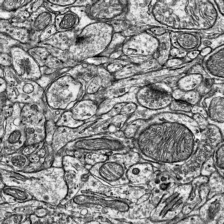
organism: Mouse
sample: Visual Cortex